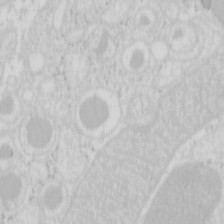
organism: Mouse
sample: Pancreas